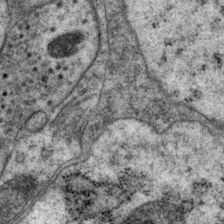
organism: P. pacificus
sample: Pharynx